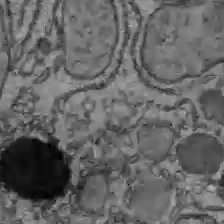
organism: C57BL Mouse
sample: Liver